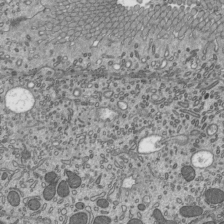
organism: Mouse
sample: Mouse epididymis efferent ductule cilia